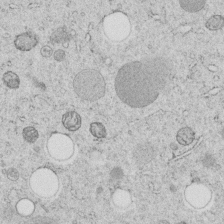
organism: C. elegans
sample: C. elegans embryo early stage